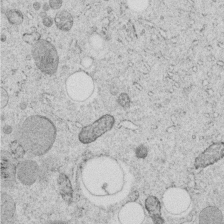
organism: C. elegans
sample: C. elegans embryo early stage